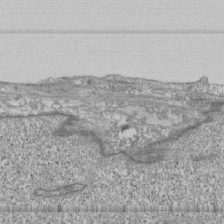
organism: Human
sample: Fibroblast cells